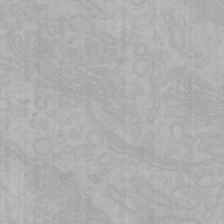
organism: Mouse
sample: Choroid plexus